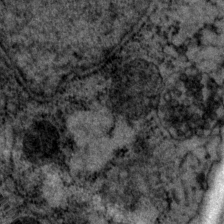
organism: P. pacificus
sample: Pharynx